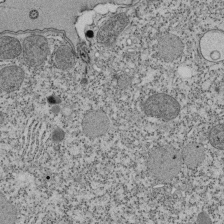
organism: Tetrahymena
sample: Cilia in tetrahymena